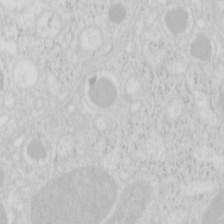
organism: Mouse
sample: Pancreas